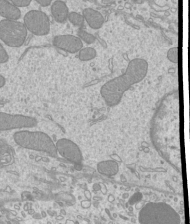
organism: Mouse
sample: Cilia; mouse epididymis